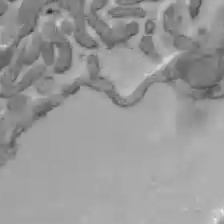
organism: C57BL Mouse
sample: Liver